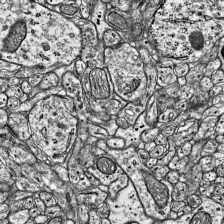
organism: Mouse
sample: Visual Cortex